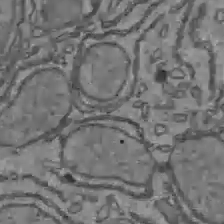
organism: C57BL Mouse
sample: Liver